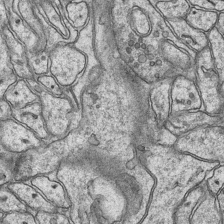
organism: Mouse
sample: CA1 Hippocampus